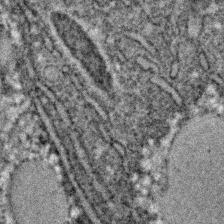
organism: C. elegans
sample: C. elegans embryo